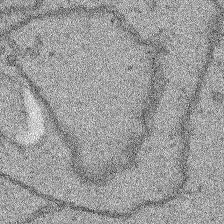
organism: Human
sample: HeLa cells